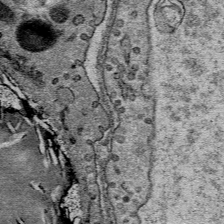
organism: Mouse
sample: Mouse Salivary gland